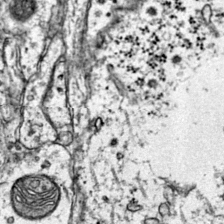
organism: Mouse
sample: Primary visual cortex